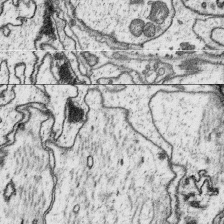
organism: Platynereis dumerilii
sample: Parapodia